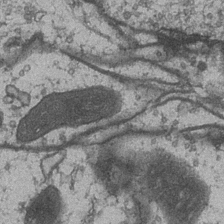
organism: Drosophila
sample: Optic medulla